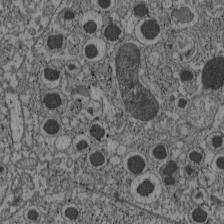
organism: C57BL Mouse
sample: Pancreatic islet